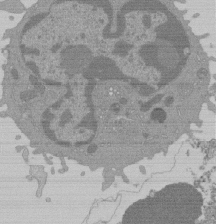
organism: Mouse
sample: Activated Pmel transgenic CD8+ T Cells